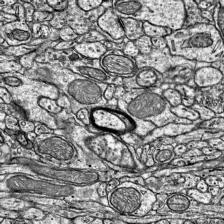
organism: Mouse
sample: Visual Cortex